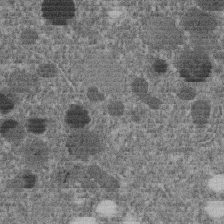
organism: C. elegans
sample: C. elegans embryo early stage